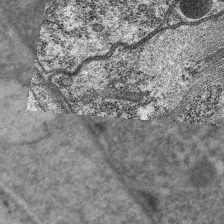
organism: C. elegans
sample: Pharynx